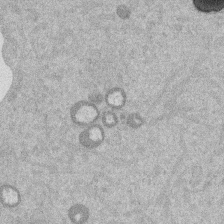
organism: Mouse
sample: Dividing mouse embryo 1 cell stage